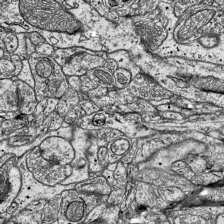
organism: Mouse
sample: Visual Cortex